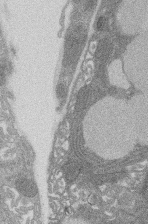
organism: Rat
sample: Salivary granule